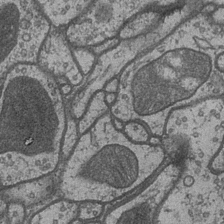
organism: Drosophila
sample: Optic medulla